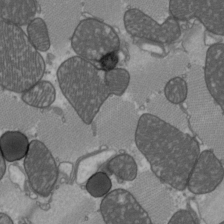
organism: C57BL Mouse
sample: Heart